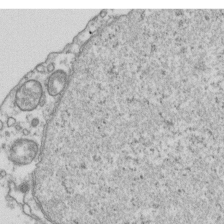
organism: Human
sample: Activated Jurkat CD4+ T cells